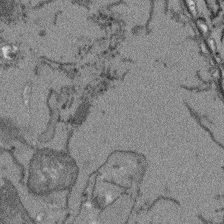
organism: Arabidopsis thaliana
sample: Root tip